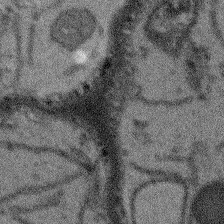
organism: Arabidopsis thaliana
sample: Root tip